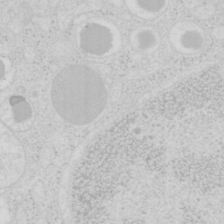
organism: Mouse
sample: Pancreas